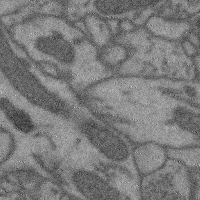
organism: Mouse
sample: Cerebral cortex